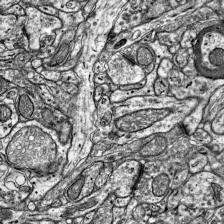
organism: Mouse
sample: Visual Cortex